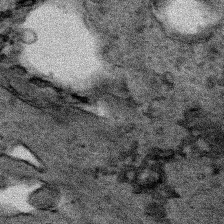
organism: Human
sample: Mitochondria in HCT116 cells